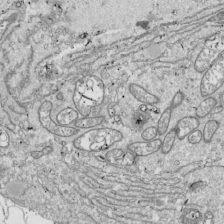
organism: Drosophila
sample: Cell division; meiosis; drosophila spermatocytes